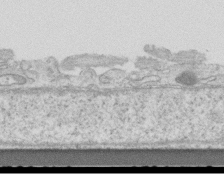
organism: Mouse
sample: Centriole in ependymal cells